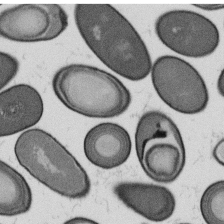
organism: B. subtilis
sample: Bacterial spore